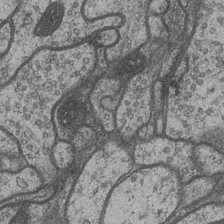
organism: Drosophila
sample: Optic medulla